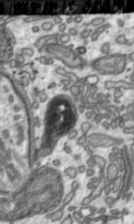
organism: Toxoplasma gondii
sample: Parasites in a vacuole inside a host cell